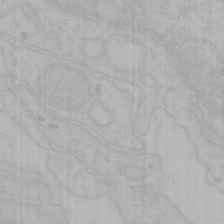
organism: Mouse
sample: Choroid plexus